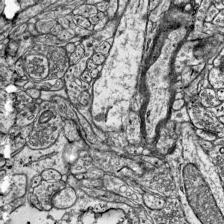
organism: Mouse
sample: Visual Cortex